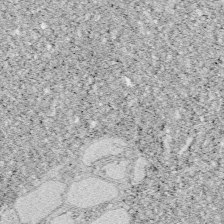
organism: Zebrafish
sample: Whole-Brain